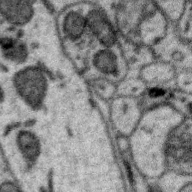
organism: Zebra finch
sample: Brain